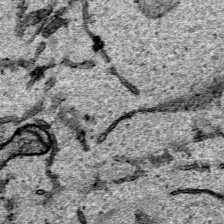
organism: Human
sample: Mitochondria in HCT116 cells